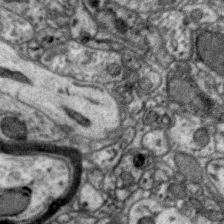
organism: Zebra finch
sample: Brain